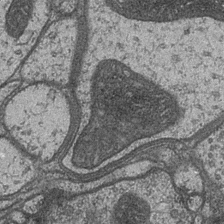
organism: Drosophila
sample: Optic medulla